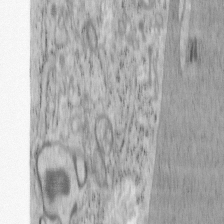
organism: Human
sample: HeLa cells